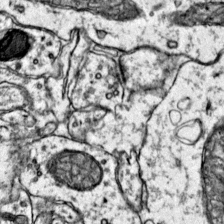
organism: Mouse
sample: Primary visual cortex